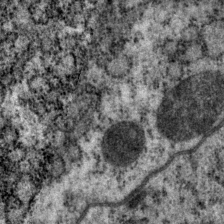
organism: P. pacificus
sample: Pharynx